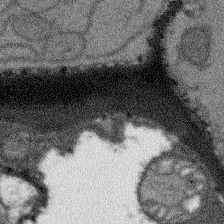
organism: Arabidopsis thaliana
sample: Root tip